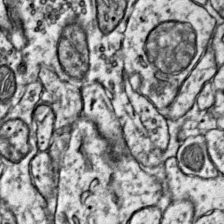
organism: Mouse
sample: Primary visual cortex